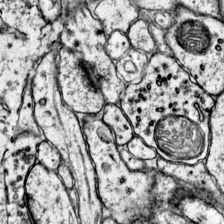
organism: Mouse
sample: Primary visual cortex